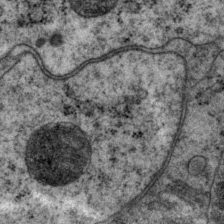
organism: P. pacificus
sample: Pharynx